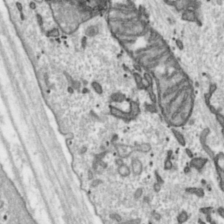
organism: Toxoplasma gondii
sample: Parasites in a vacuole inside a host cell